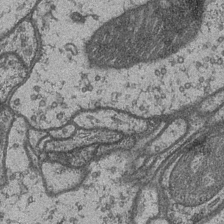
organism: Drosophila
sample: Optic medulla